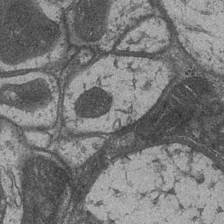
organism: Drosophila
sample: Optic medulla